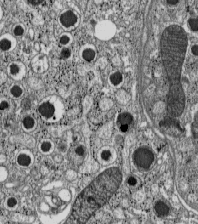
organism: C57BL Mouse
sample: Pancreatic islet